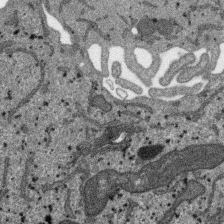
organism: Human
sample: Lung epithelial cells infected with SARS-CoV-2